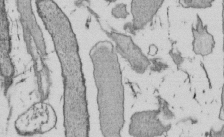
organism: E. coli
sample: Bacterial nucleoid